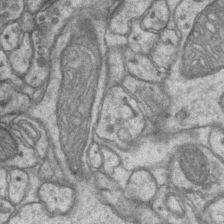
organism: Mouse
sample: CA1 Hippocampus